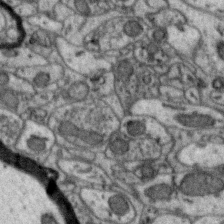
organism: Zebra finch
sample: Brain